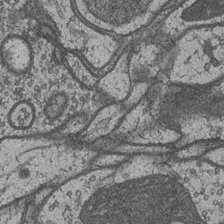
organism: Drosophila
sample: Optic medulla